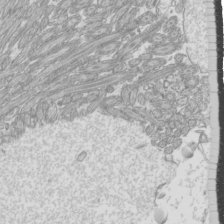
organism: Mouse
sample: Cilia; mouse epididymis